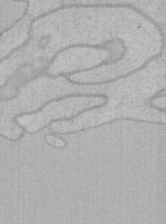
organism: Human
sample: HeLa cells